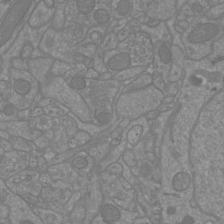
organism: Mouse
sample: Cortical neurons